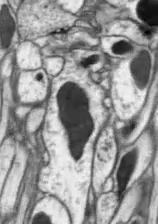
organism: Drosophila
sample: Optic lobe